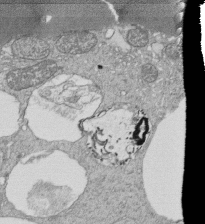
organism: Tetrahymena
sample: Cilia in tetrahymena